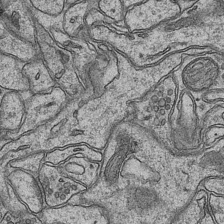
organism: Mouse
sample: CA1 Hippocampus